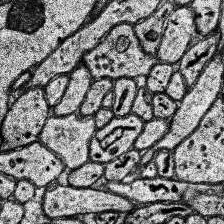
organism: Human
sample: Temporal Lobe